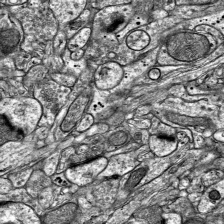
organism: Mouse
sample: Visual Cortex